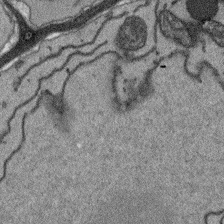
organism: Arabidopsis thaliana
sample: Root tip